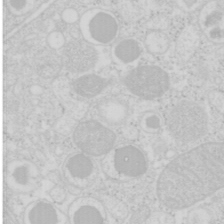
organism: Mouse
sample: Pancreas